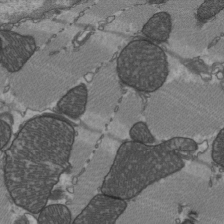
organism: C57BL Mouse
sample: Heart